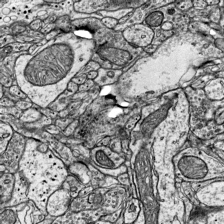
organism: Mouse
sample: Visual Cortex